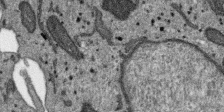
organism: Human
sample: Lung epithelial cells, uninfected (mock) control